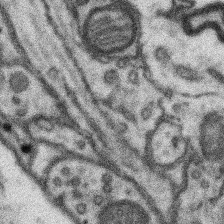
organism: Mouse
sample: Somatosensory cortex neuropil